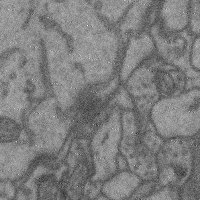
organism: Mouse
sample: Cerebral cortex